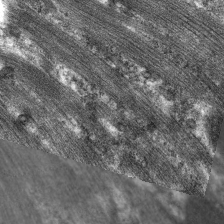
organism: C. elegans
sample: Pharynx